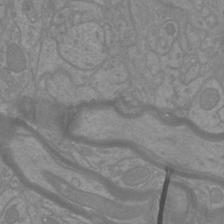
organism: Mouse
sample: Cortical neurons